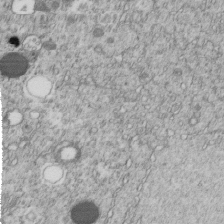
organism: C. elegans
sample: C. elegans embryo early stage